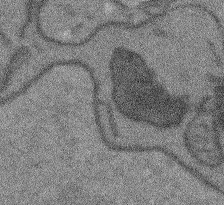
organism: Arabidopsis thaliana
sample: Root tip